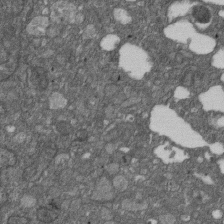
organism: Drosophila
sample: Nephrocyte